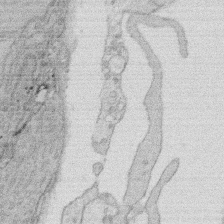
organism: Rat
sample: Salivary granule